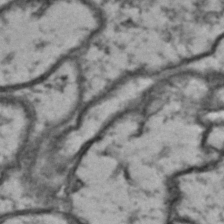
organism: Drosophila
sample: Brain